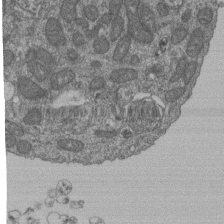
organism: Human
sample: Retinal organoid Rod and Cone cells